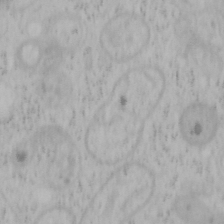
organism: Mouse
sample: OT-I killer T cells with ID8 ovarian cancer cells